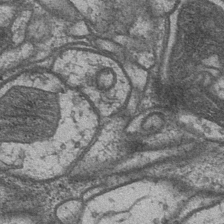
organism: Drosophila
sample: Optic medulla